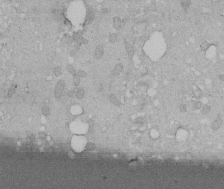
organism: Human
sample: Melanocyte Keratinocyte synapse skin construct